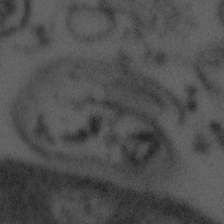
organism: Tuwongella immobilis